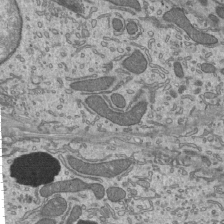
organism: Mouse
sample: Mouse epididymis efferent ductule cilia